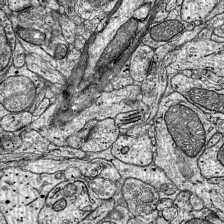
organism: Mouse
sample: Visual Cortex